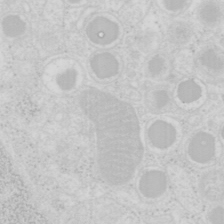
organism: Mouse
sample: Pancreas